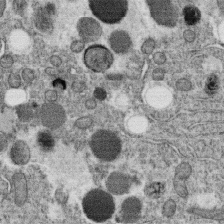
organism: C. elegans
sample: C. elegans oocyte; sperm cells